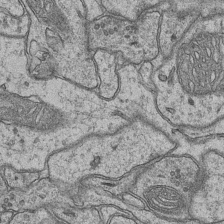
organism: Mouse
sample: CA1 Hippocampus